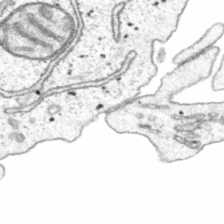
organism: Human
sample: HeLa cells